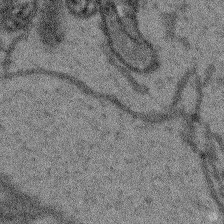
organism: Arabidopsis thaliana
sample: Root tip